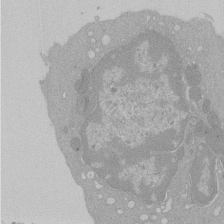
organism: Mouse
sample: Activated Pmel transgenic CD8+ T Cells